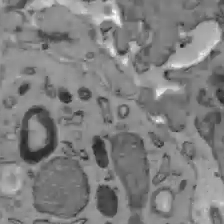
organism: C57BL Mouse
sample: Liver